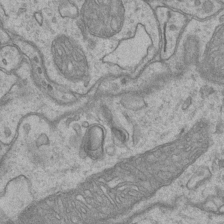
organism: Mouse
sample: CA1 Hippocampus